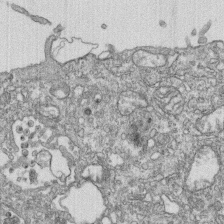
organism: Human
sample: HeLa cell HIV synapse